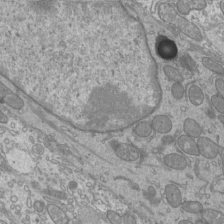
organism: Mouse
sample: Cilia; mouse epididymis